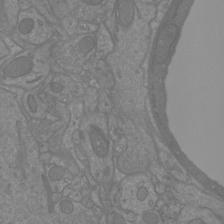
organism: Mouse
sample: Cortical neurons